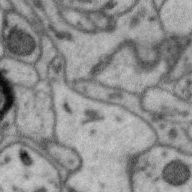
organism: Zebra finch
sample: Brain